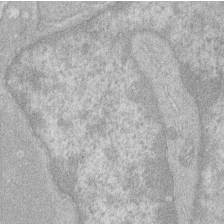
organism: Human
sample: Macrophage cells